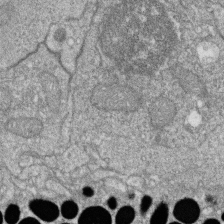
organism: Zebrafish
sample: Cilia; retinal pigment epithelium